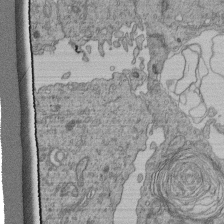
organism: Human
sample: Retinal organoid Rod and Cone cells